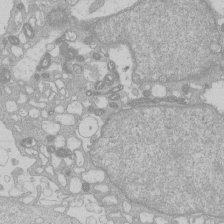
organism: Human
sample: Macrophage cells